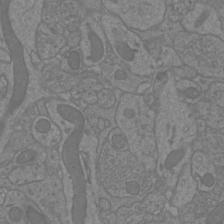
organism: Mouse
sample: Cortical neurons